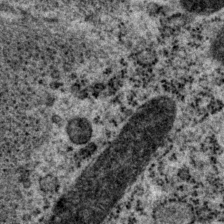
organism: P. pacificus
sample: Pharynx